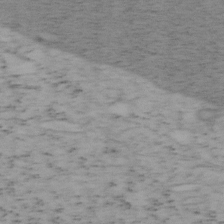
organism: Mouse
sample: OT-I killer T cells with ID8 ovarian cancer cells